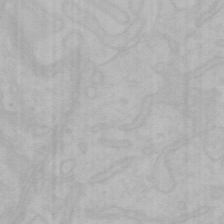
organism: Mouse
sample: Choroid plexus